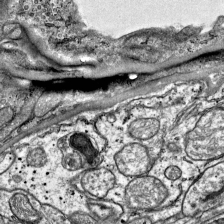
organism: Mouse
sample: Visual Cortex